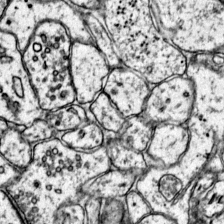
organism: Mouse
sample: Primary visual cortex